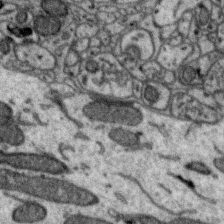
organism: Zebra finch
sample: Brain